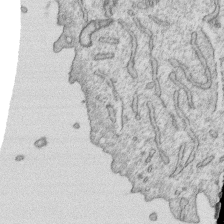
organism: Human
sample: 1205lu cells